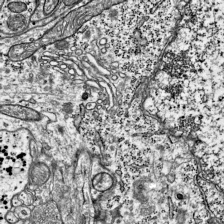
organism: Mouse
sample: Visual Cortex